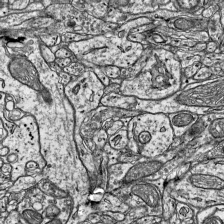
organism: Mouse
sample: Visual Cortex